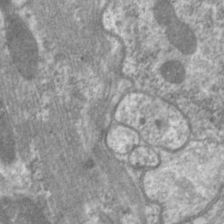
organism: C. elegans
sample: Pharynx